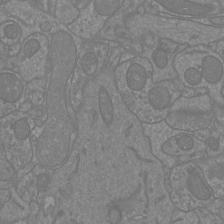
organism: Mouse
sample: Cortical neurons